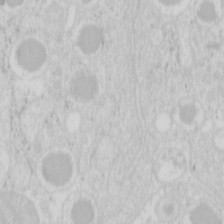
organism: Mouse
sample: Pancreas